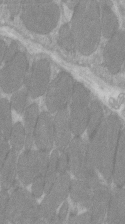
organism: C57BL Mouse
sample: Tibialis anterior muscle cell